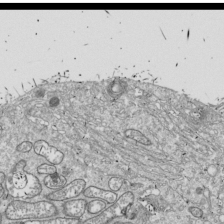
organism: Drosophila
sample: Cell division; meiosis; drosophila spermatocytes